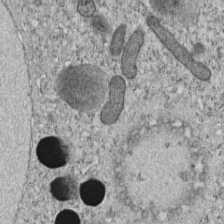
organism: C. elegans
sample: C. elegans embryo early stage